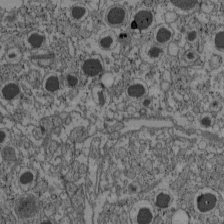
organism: C57BL Mouse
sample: Pancreatic islet